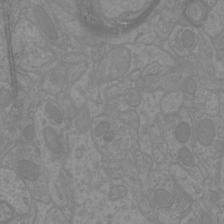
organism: Mouse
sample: Cortical neurons